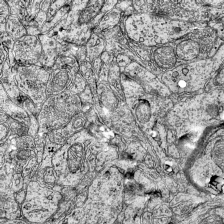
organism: Mouse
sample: Visual Cortex